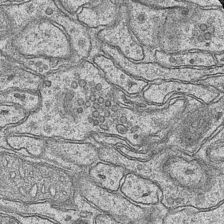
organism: Mouse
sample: CA1 Hippocampus